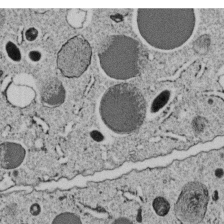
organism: C. elegans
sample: C. elegans embryo early stage